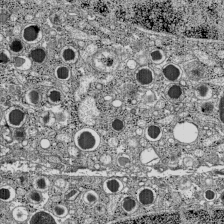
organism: C57BL Mouse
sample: Pancreatic islet